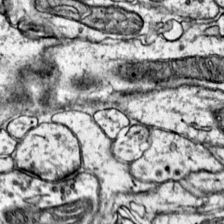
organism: Mouse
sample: Primary visual cortex